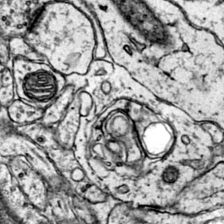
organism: Mouse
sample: Primary visual cortex